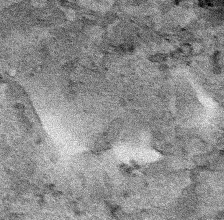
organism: Human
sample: Mitochondria in HCT116 cells